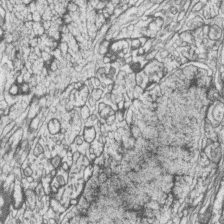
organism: Zebrafish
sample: synaptic ribbons in rod cells and cone cells